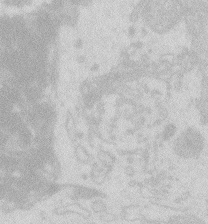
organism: Zebrafish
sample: Macrophage